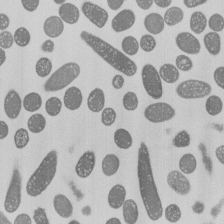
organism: E. coli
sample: Bacterial nucleoid